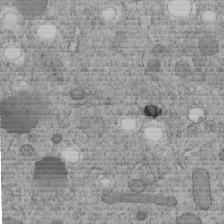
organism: C. elegans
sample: C. elegans embryo early stage